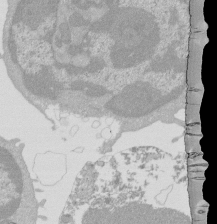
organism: Mouse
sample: Activated Pmel transgenic CD8+ T Cells